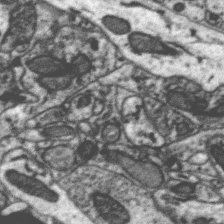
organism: Zebra finch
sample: Brain